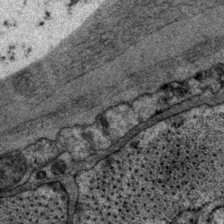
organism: P. pacificus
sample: Pharynx